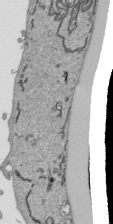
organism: Human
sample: Mitochondria in HCT116 cells